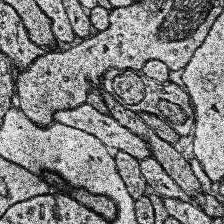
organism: Human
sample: Temporal Lobe